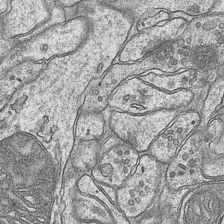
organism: Mouse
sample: CA1 Hippocampus